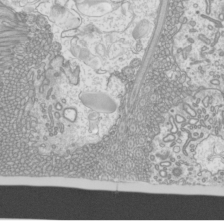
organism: Mouse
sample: Cilia; mouse epididymis